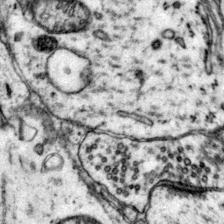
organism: Mouse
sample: Primary visual cortex